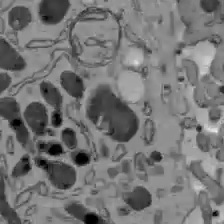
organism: C57BL Mouse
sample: Liver